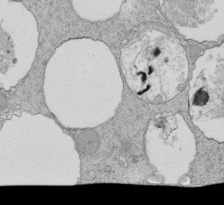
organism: Tetrahymena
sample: Cilia in tetrahymena